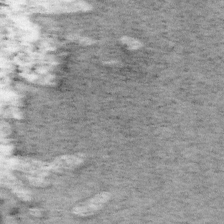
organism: Mouse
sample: OT-I killer T cells with ID8 ovarian cancer cells